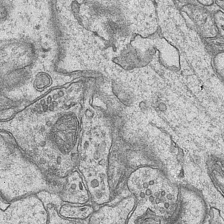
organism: Mouse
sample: CA1 Hippocampus